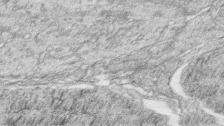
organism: Zebrafish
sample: synaptic ribbons in rod cells and cone cells